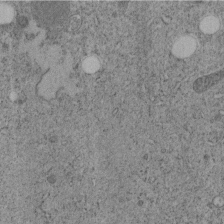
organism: C. elegans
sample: C. elegans embryo early stage